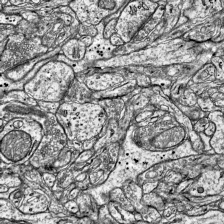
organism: Mouse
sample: Visual Cortex